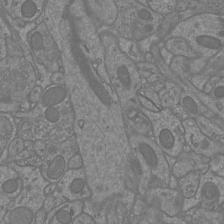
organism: Mouse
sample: Cortical neurons